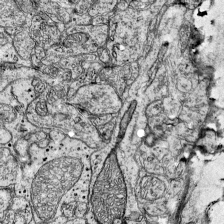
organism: Mouse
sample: Visual Cortex